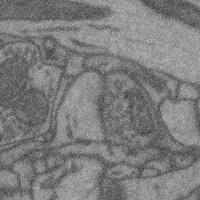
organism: Mouse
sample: Cerebral cortex